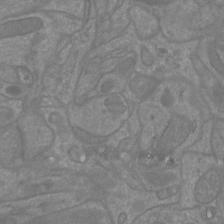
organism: Mouse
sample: Cortical neurons